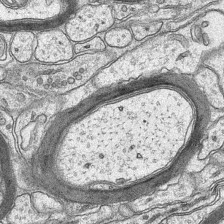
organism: Mouse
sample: CA1 Hippocampus